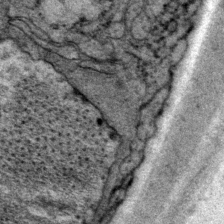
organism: P. pacificus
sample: Pharynx